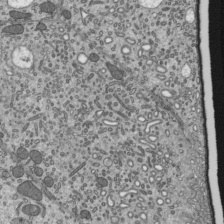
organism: Mouse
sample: Mouse epididymis efferent ductule cilia